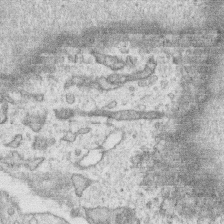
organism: Human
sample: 1205lu cells